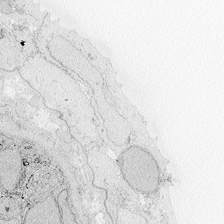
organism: Zebrafish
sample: Whole-Brain